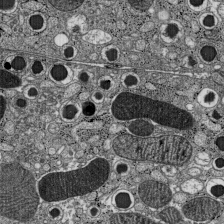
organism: C57BL Mouse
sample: Pancreatic islet